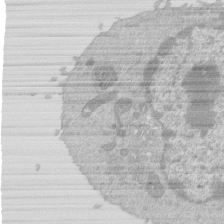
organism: Mouse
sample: Activated Pmel transgenic CD8+ T Cells